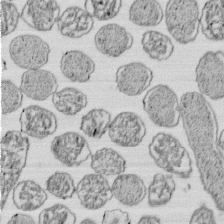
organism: E. coli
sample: Bacterial nucleoid